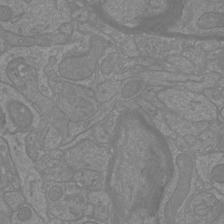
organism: Mouse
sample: Cortical neurons